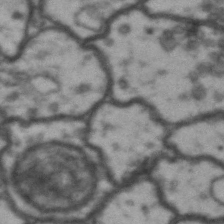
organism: Drosophila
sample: Brain